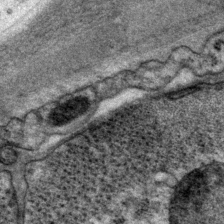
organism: P. pacificus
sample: Pharynx